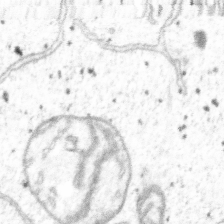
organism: Human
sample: HeLa cells